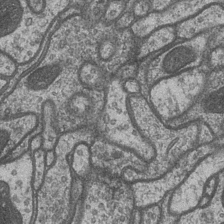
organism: Drosophila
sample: Optic medulla